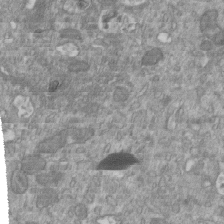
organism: Mouse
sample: ED-1 cell nuclei; centrioles